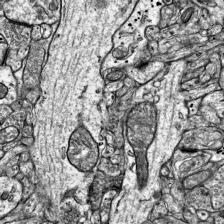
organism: Mouse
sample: Visual Cortex